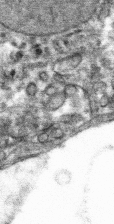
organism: Mouse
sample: Mouse hepatocytes